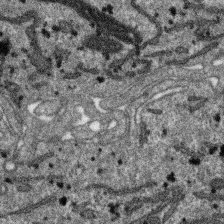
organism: Human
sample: Lung epithelial cells infected with SARS-CoV-2